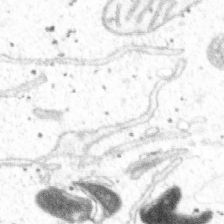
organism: Human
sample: HeLa cells